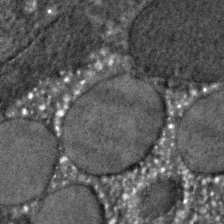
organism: C. elegans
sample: C. elegans embryo